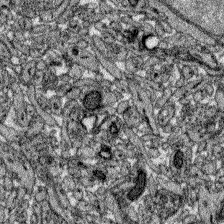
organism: Zebrafish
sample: Larval olfactory bulb